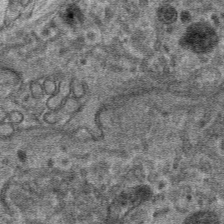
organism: Mouse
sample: Mouse hepatocytes